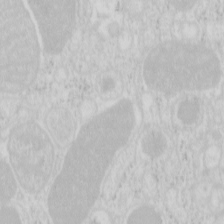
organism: Mouse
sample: Pancreas